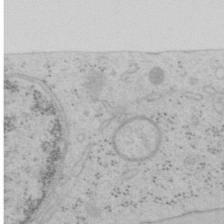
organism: Human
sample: HeLa cells